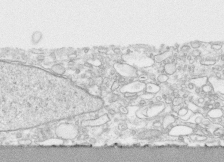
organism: Human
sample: CRL-1474